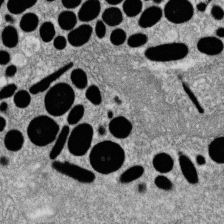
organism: Zebrafish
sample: Cilia; retinal pigment epithelium